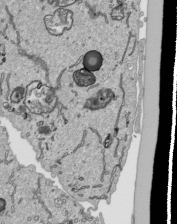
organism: Human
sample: Mitochondria in HCT116 cells